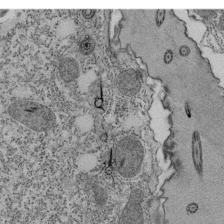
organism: Tetrahymena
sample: Cilia in tetrahymena